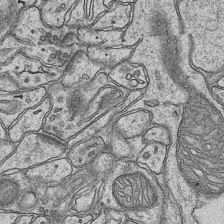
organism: Mouse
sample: CA1 Hippocampus